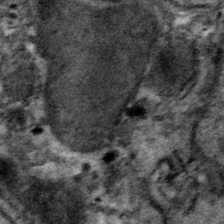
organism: Mouse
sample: Mouse hepatocytes